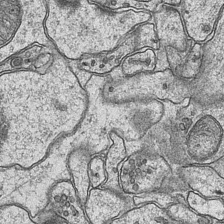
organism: Mouse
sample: CA1 Hippocampus